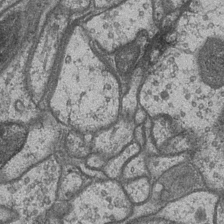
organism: Drosophila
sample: Optic medulla